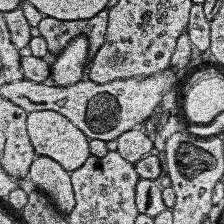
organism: Human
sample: Temporal Lobe